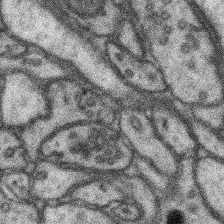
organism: Mouse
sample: Somatosensory cortex neuropil